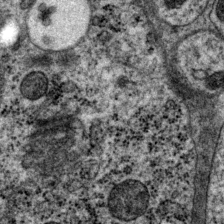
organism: P. pacificus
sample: Pharynx